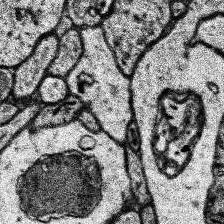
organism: Human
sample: Temporal Lobe